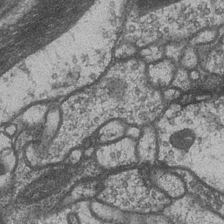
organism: Drosophila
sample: Optic medulla